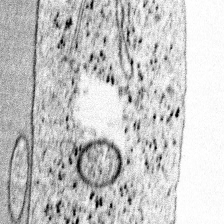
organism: Human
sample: HeLa cells